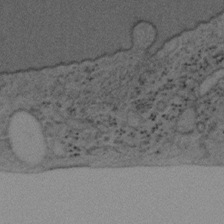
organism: Human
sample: HeLa cells